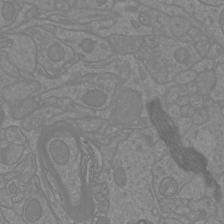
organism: Mouse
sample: Cortical neurons